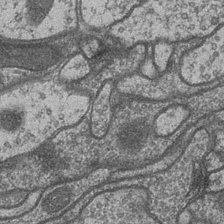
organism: Drosophila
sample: Optic medulla